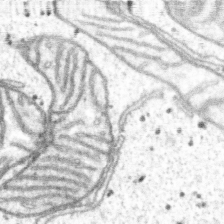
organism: Human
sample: HeLa cells